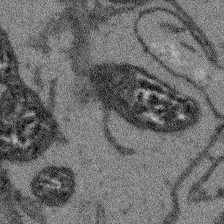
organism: Arabidopsis thaliana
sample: Root tip